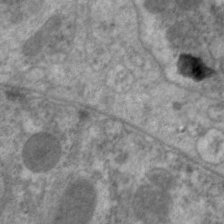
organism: C. elegans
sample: Pharynx